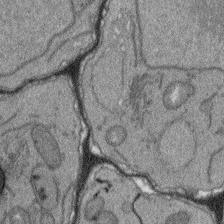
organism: Arabidopsis thaliana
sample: Root tip